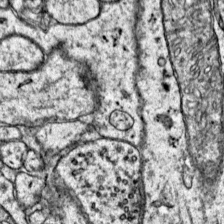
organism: Mouse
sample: Primary visual cortex